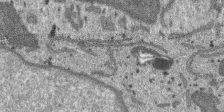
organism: Human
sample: Lung epithelial cells infected with SARS-CoV-2